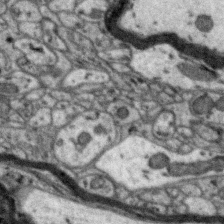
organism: Zebra finch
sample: Brain